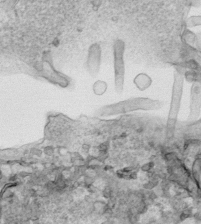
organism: Human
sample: Mitochondria in HCT116 cells